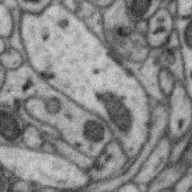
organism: Zebra finch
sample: Brain